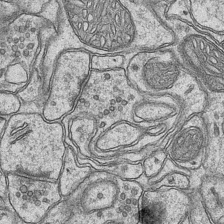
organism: Mouse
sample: CA1 Hippocampus